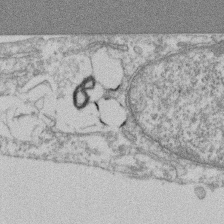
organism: Mouse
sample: T cell stromal cell synapse